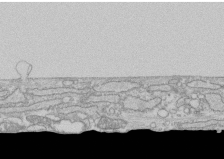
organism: Human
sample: CRL-1474